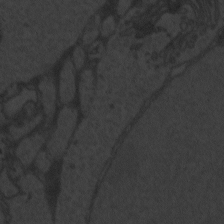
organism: Zebrafish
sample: Macrophage infected with Toxoplasma gondii